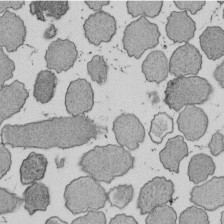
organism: E. coli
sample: Bacterial nucleoid